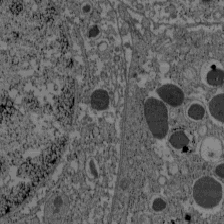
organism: C57BL Mouse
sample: Pancreatic islet